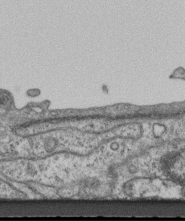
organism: Mouse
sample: Centriole in ependymal cells